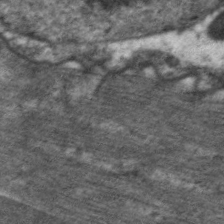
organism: C. elegans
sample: Pharynx